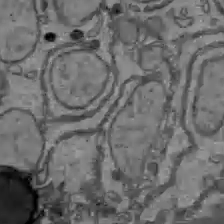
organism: C57BL Mouse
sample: Liver